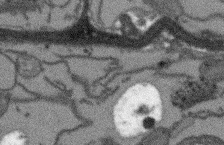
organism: Arabidopsis thaliana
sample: Root tip